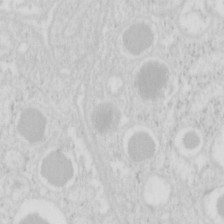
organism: Mouse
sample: Pancreas